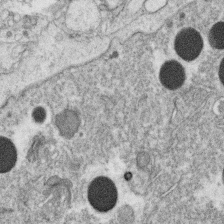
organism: C. elegans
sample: C. elegans oocyte; sperm cells